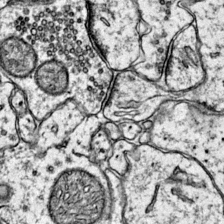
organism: Mouse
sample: Primary visual cortex